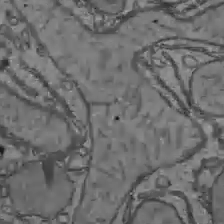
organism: C57BL Mouse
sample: Liver